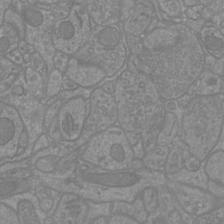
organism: Mouse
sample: Cortical neurons